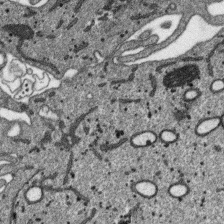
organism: Human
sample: Lung epithelial cells infected with SARS-CoV-2